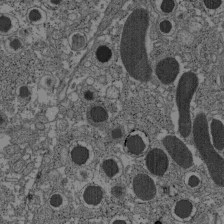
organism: C57BL Mouse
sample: Pancreatic islet